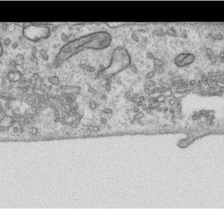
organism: Human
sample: Centriole in RPE cells